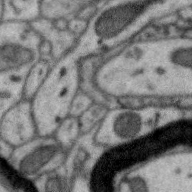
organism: Zebra finch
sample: Brain